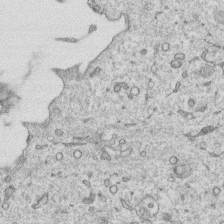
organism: Human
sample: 1205lu cells